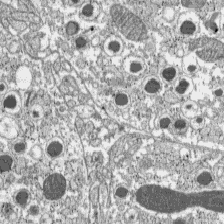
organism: C57BL Mouse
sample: Pancreatic islet